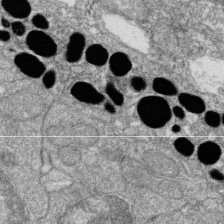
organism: Zebrafish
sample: Cilia; retinal pigment epithelium